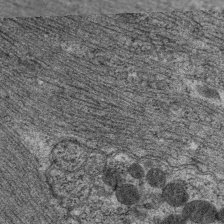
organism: C. elegans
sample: Pharynx